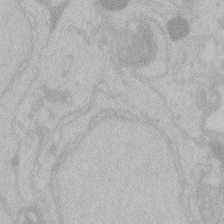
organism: Zebrafish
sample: Macrophage infected with Toxoplasma gondii